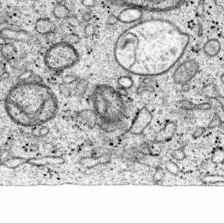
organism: Human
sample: HeLa cells